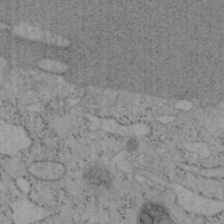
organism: Mouse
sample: OT-I killer T cells with ID8 ovarian cancer cells